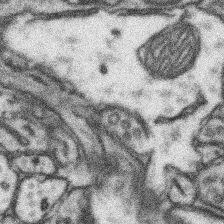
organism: Mouse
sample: Somatosensory cortex neuropil